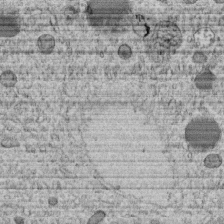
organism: C. elegans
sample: C. elegans embryo early stage